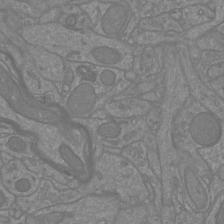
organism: Mouse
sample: Cortical neurons